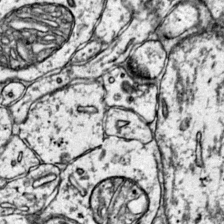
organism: Mouse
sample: Primary visual cortex